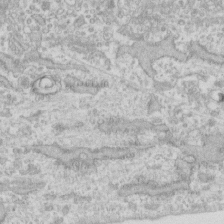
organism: Human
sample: Fibroblast cells